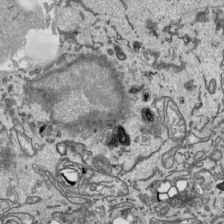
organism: Human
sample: Mitochondria in HCT116 cells